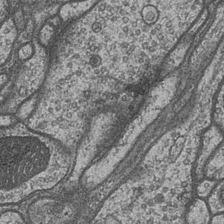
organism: Drosophila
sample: Optic medulla